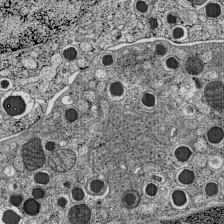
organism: C57BL Mouse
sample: Pancreatic islet